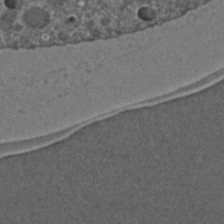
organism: C. elegans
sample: C. elegans embryo